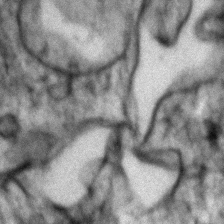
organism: Zebrafish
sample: Zebrafish embryo